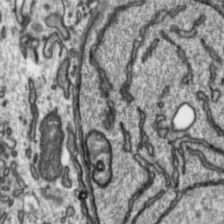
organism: Toxoplasma gondii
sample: Parasites in a vacuole inside a host cell